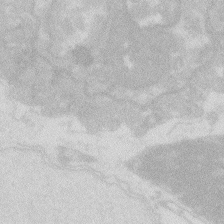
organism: Zebrafish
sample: Macrophage